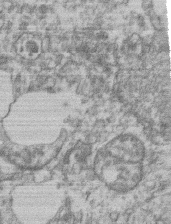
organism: Mouse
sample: T cell stromal cell synapse